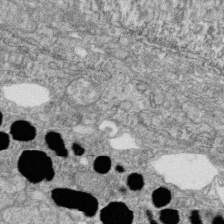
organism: Zebrafish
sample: Cilia; retinal pigment epithelium